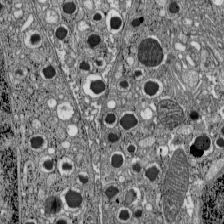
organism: C57BL Mouse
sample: Pancreatic islet